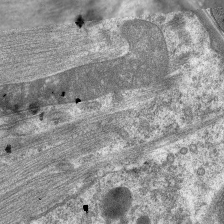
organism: C. elegans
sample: Pharynx